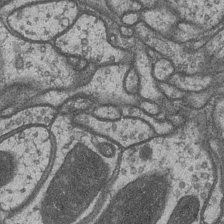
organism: Drosophila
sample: Optic medulla